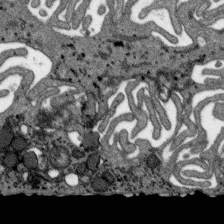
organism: Human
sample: Lung epithelial cells, uninfected (mock) control